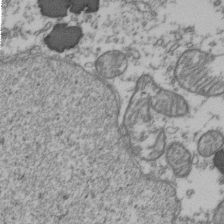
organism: Human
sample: Activated Jurkat CD4+ T cells